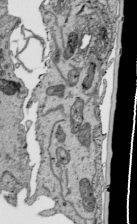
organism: Human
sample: Mitochondria in HCT116 cells